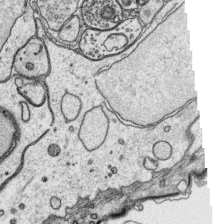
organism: Platynereis dumerilii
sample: Parapodia